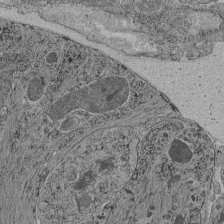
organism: C. elegans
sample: C. elegans pharynx